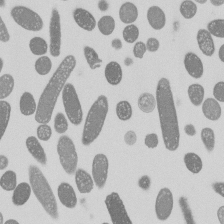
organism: E. coli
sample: Bacterial nucleoid